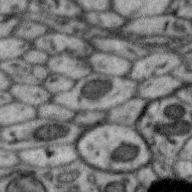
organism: Zebra finch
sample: Brain